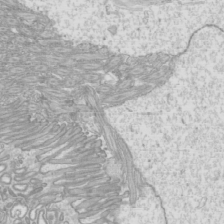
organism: Mouse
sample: Cilia; mouse epididymis